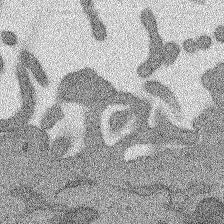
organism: Human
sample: HeLa cells